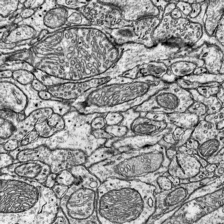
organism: Mouse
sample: Visual Cortex